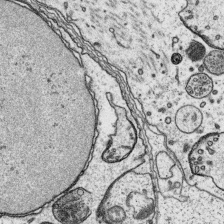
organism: Platynereis dumerilii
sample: Parapodia